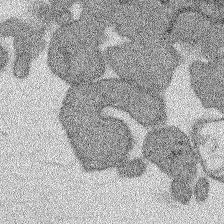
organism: Human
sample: HeLa cells